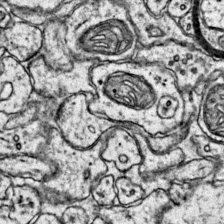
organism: Mouse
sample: Primary visual cortex